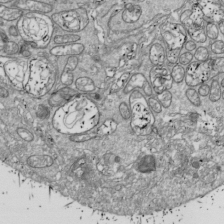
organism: Drosophila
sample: Cell division; meiosis; drosophila spermatocytes